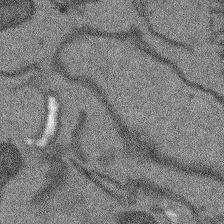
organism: Arabidopsis thaliana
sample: Root tip